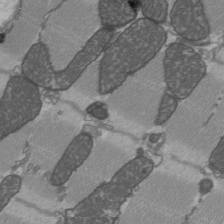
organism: C57BL Mouse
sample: Heart